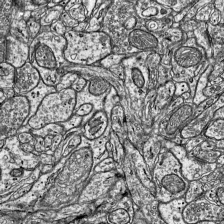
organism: Mouse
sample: Visual Cortex